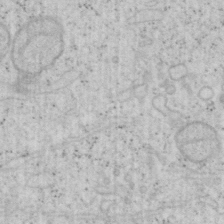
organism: Human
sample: HeLa cells